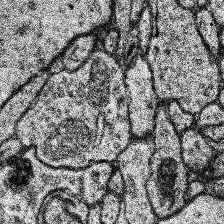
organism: Human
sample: Temporal Lobe